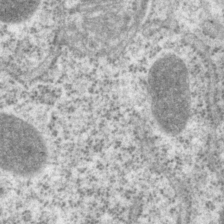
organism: P. pacificus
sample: Pharynx